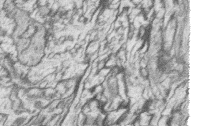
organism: Zebrafish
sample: synaptic ribbons in rod cells and cone cells